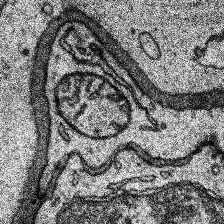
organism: Human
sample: Temporal Lobe